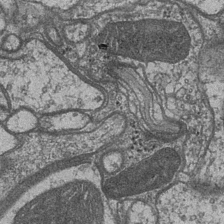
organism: Drosophila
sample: Optic medulla